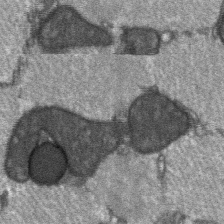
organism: C57BL Mouse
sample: Soleus